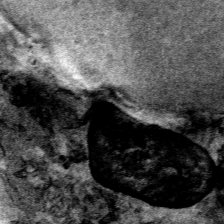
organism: Human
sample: Mitochondria in HCT116 cells